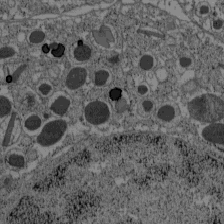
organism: C57BL Mouse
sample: Pancreatic islet